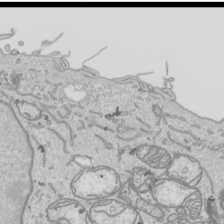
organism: Human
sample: Mitochondria in HCT116 cells